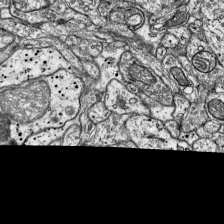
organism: Mouse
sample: Visual Cortex